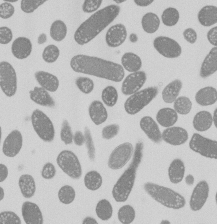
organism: E. coli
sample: Bacterial nucleoid